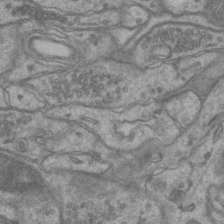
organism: Mouse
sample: CA1 Hippocampus